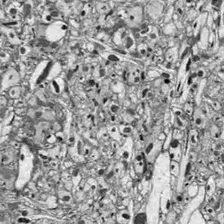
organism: Drosophila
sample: Optic lobe